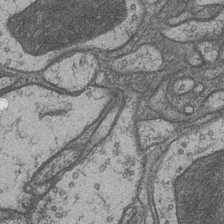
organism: Drosophila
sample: Optic medulla